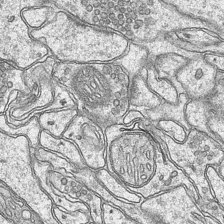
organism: Mouse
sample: CA1 Hippocampus